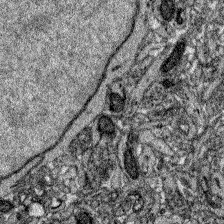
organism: Zebrafish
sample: Larval olfactory bulb